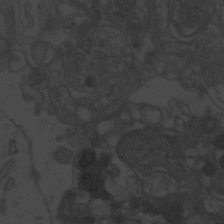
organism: Zebrafish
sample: Macrophage infected with Toxoplasma gondii